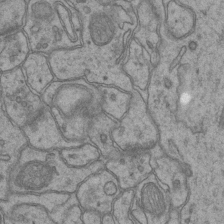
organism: Mouse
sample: CA1 Hippocampus